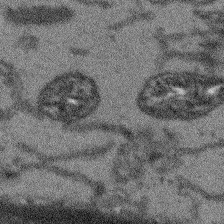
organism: Arabidopsis thaliana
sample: Root tip